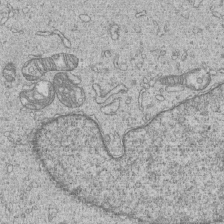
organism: Human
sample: MDA-MB-231 cells